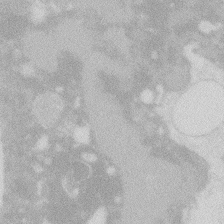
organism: Zebrafish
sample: Macrophage